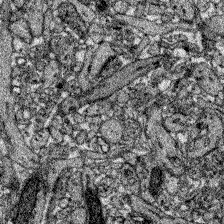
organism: Zebrafish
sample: Larval olfactory bulb